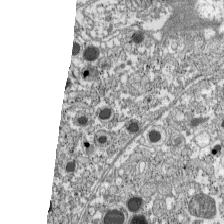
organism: C57BL Mouse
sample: Pancreatic islet